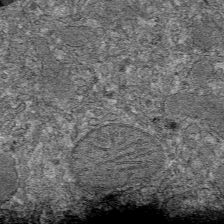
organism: Mouse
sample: Mouse hepatocytes